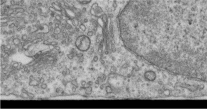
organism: Human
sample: Centriole in RPE cells